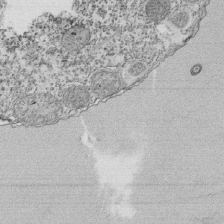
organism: Tetrahymena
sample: Cilia in tetrahymena